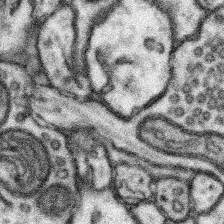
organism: Mouse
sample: Somatosensory cortex neuropil